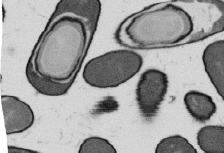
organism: B. subtilis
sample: Bacterial spore